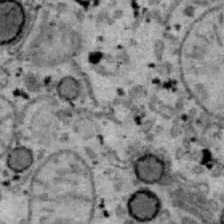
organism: Mouse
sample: Liver from an obese (ob/ob) mouse